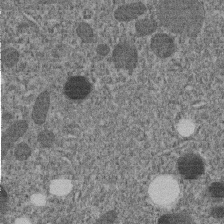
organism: C. elegans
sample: C. elegans embryo early stage